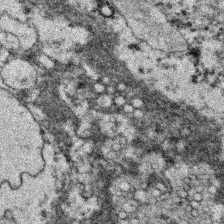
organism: Zebrafish